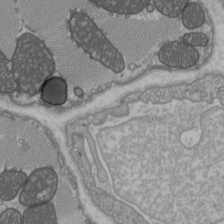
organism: C57BL Mouse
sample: Heart